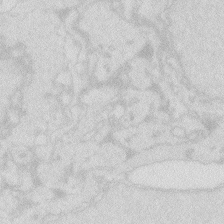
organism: Zebrafish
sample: Macrophage